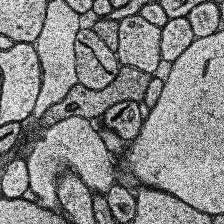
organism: Human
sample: Temporal Lobe